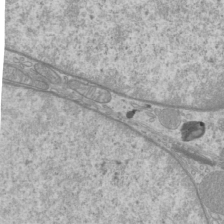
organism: Mouse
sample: Cilia; mouse epididymis